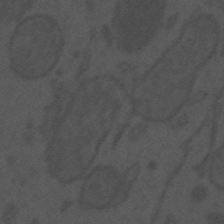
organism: Mouse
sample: Suprachiasmatic nucleus